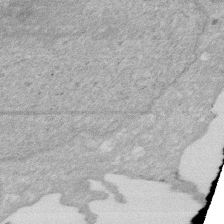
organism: Human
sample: HIV infected U937 cells